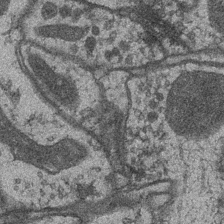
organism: Drosophila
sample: Optic medulla